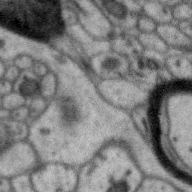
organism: Zebra finch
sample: Brain